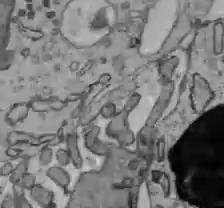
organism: C57BL Mouse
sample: Liver